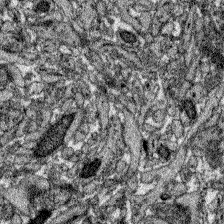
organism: Zebrafish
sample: Larval olfactory bulb